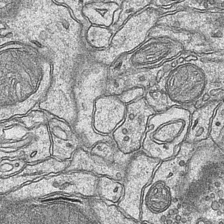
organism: Mouse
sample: CA1 Hippocampus